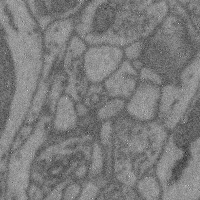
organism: Mouse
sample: Cerebral cortex